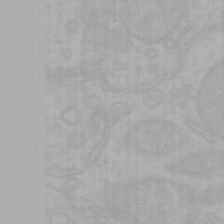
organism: Mouse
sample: Choroid plexus